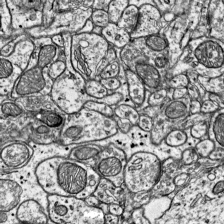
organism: Mouse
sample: Visual Cortex